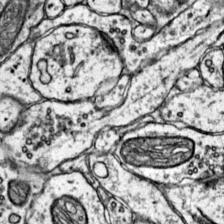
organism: Mouse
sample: Primary visual cortex